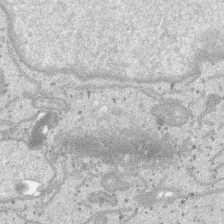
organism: Human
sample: Lung epithelial cells infected with SARS-CoV-2